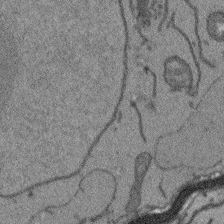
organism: Arabidopsis thaliana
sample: Root tip